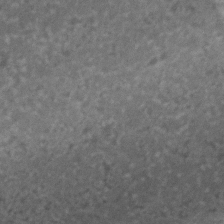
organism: C. elegans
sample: C. elegans embryo